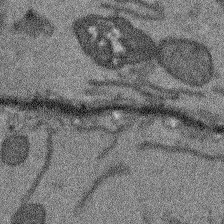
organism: Arabidopsis thaliana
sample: Root tip